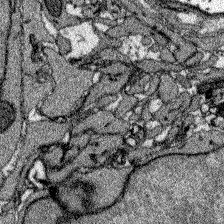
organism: Zebrafish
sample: Larval olfactory bulb